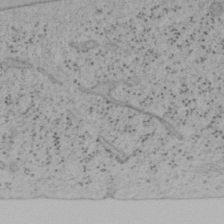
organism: Human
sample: HeLa cells